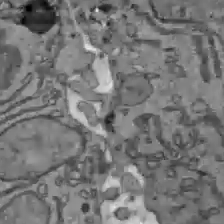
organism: C57BL Mouse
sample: Liver